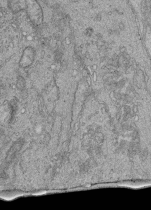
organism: Human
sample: Retinal organoid Rod and Cone cells